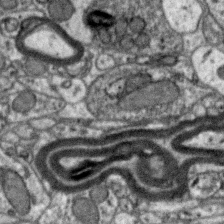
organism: Zebra finch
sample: Brain